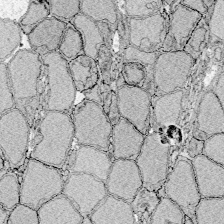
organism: Zebrafish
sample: Whole-Brain